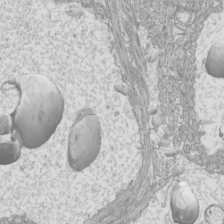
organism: Mouse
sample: Cilia; mouse epididymis